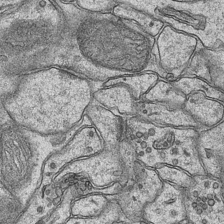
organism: Mouse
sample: CA1 Hippocampus